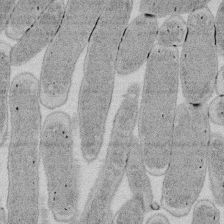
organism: E. coli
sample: Bacterial nucleoid